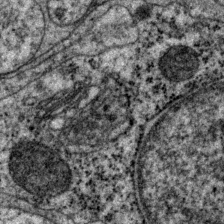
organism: P. pacificus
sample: Pharynx